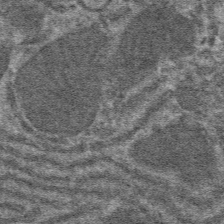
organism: Mouse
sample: Mouse hepatocytes